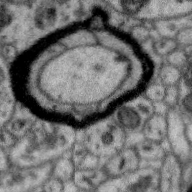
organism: Zebra finch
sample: Brain